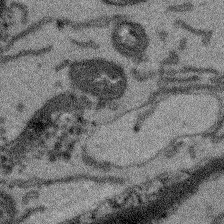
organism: Arabidopsis thaliana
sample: Root tip